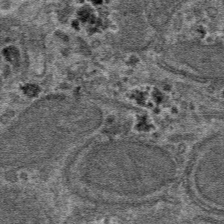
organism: Mouse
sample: Mouse hepatocytes